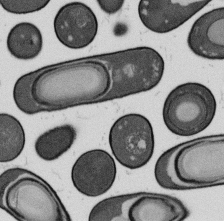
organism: B. subtilis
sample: Bacterial spore